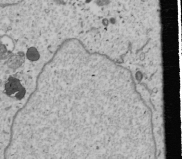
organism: Human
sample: Mitochondria in U2OS cells